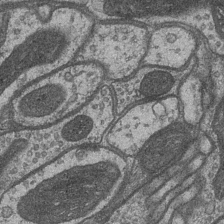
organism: Drosophila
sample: Optic medulla